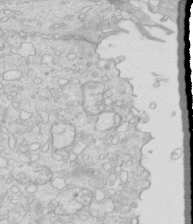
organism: Mouse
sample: Multiciliated cells